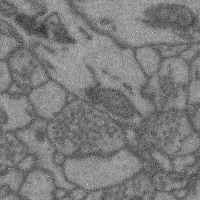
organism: Mouse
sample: Cerebral cortex